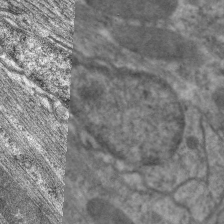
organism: C. elegans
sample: Pharynx